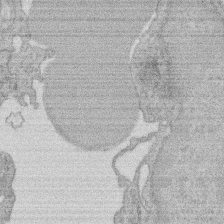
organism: Rat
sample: Salivary granule